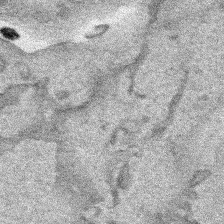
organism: Human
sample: Mitochondria in HCT116 cells